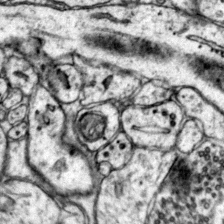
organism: Mouse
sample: Primary visual cortex